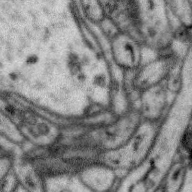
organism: Zebra finch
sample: Brain